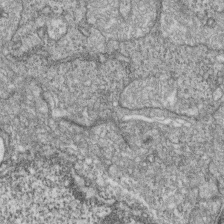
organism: Zebrafish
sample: Cilia; retinal pigment epithelium